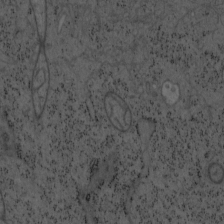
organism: Mouse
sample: OT-I killer T cells with ID8 ovarian cancer cells